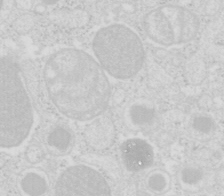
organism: Mouse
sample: Pancreas